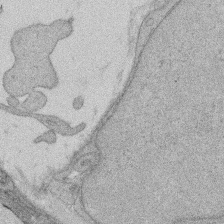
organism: Rat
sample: Salivary granule